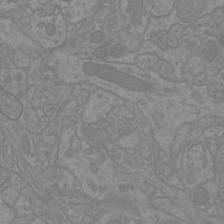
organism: Mouse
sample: Cortical neurons